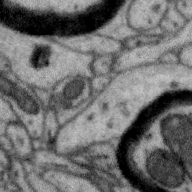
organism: Zebra finch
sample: Brain